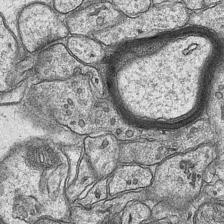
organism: Mouse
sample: CA1 Hippocampus